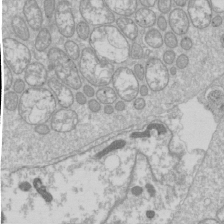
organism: Drosophila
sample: Cell division; meiosis; drosophila spermatocytes